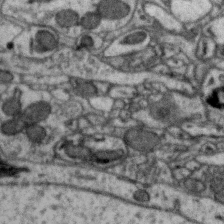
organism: Zebra finch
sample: Brain